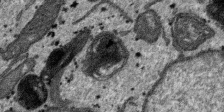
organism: Human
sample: Lung epithelial cells, uninfected (mock) control